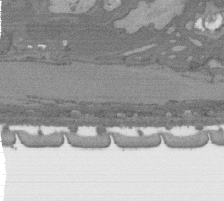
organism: C. elegans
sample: AFD neurons C. elegans